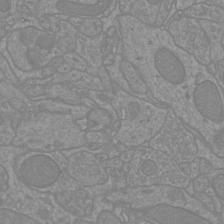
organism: Mouse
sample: Cortical neurons